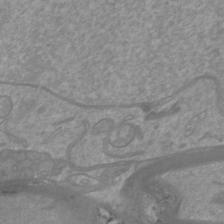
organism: Mouse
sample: Cortical neurons